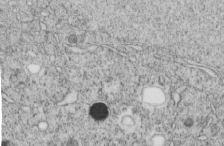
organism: C. elegans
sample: C. elegans embryo early stage